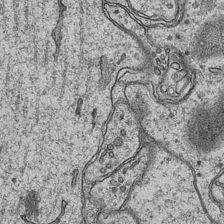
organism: Mouse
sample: CA1 Hippocampus